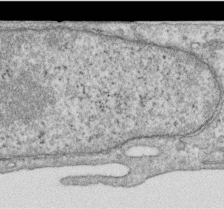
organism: Human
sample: Centriole in RPE cells